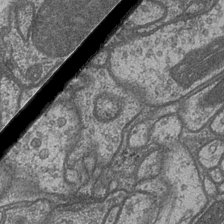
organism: Drosophila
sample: Optic medulla